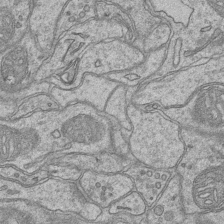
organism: Mouse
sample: CA1 Hippocampus